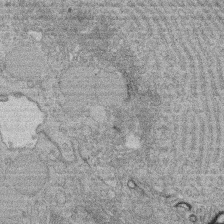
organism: Rat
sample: Salivary granule